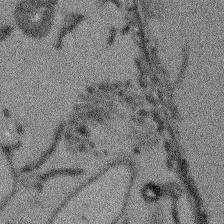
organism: Arabidopsis thaliana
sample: Root tip